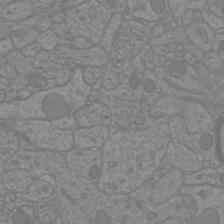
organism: Mouse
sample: Cortical neurons